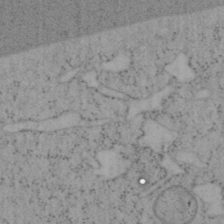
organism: Mouse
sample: OT-I killer T cells with ID8 ovarian cancer cells